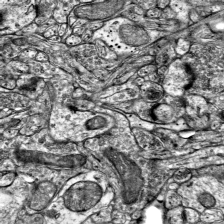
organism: Mouse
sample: Visual Cortex